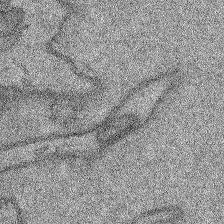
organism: Human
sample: HeLa cells